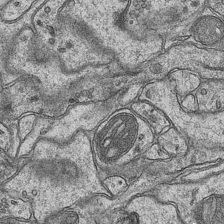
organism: Mouse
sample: CA1 Hippocampus